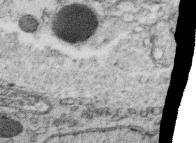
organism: C. elegans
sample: C. elegans oocyte; sperm cells